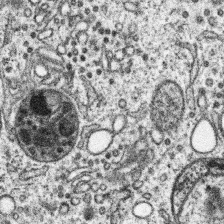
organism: Human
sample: HeLa cells